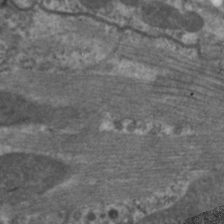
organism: C. elegans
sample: Pharynx